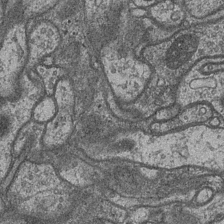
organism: Drosophila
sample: Optic medulla